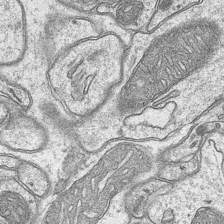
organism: Mouse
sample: CA1 Hippocampus